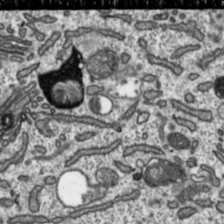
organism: Toxoplasma gondii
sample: Parasites in a vacuole inside a host cell